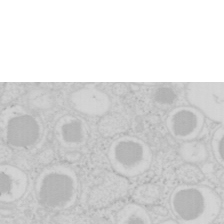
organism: Mouse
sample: Pancreas